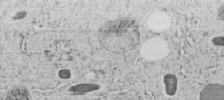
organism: C. elegans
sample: C. elegans embryo early stage